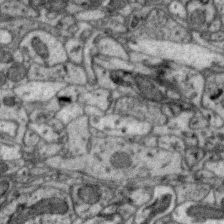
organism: Zebra finch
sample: Brain